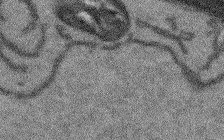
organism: Arabidopsis thaliana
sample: Root tip